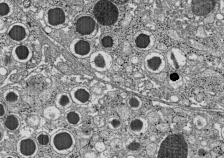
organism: C57BL Mouse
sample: Pancreatic islet